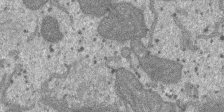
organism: Human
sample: Lung epithelial cells infected with SARS-CoV-2